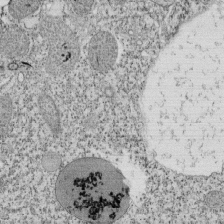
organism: Tetrahymena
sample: Cilia in tetrahymena